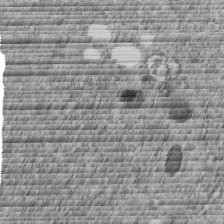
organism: C. elegans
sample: C. elegans embryo early stage